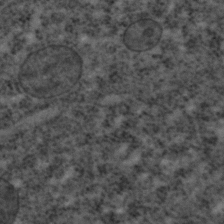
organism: C. elegans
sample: C. elegans embryo